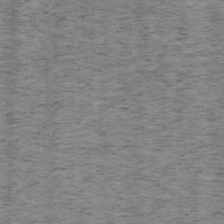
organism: Mouse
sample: OT-I killer T cells with ID8 ovarian cancer cells